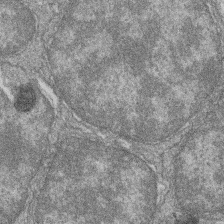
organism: Zebrafish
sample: Cilia; retinal pigment epithelium